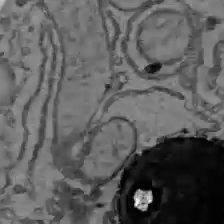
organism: C57BL Mouse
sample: Liver